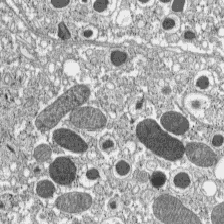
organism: C57BL Mouse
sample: Pancreatic islet